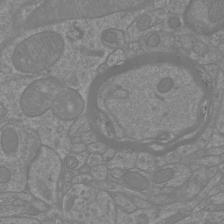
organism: Mouse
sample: Cortical neurons